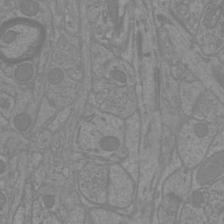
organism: Mouse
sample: Cortical neurons